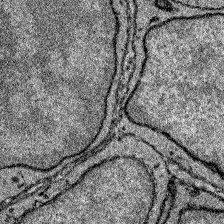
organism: Zebrafish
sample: Larval olfactory bulb